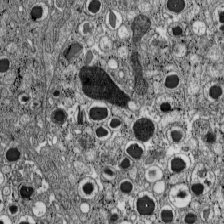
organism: C57BL Mouse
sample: Pancreatic islet